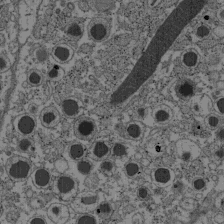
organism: C57BL Mouse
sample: Pancreatic islet